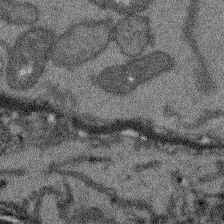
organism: Arabidopsis thaliana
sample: Root tip